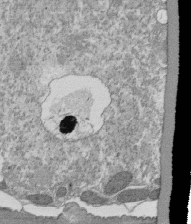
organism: Tetrahymena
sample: Cilia in tetrahymena